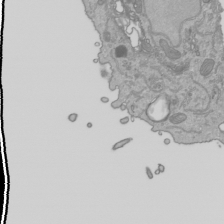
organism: Human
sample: Mitochondria in HCT116 cells